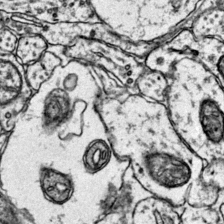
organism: Mouse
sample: Primary visual cortex